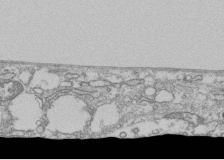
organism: Human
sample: Fibroblast cells